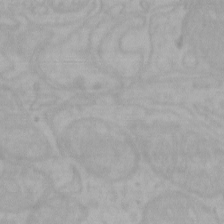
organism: Mouse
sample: Choroid plexus